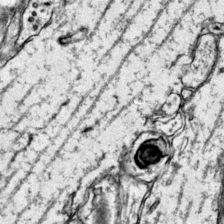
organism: Mouse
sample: Primary visual cortex